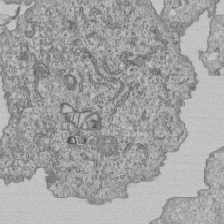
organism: Human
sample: MDA-MB-231 cells